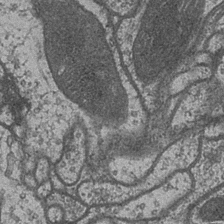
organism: Drosophila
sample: Optic medulla